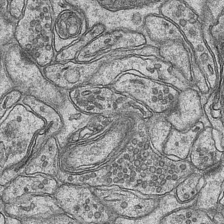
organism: Mouse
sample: CA1 Hippocampus